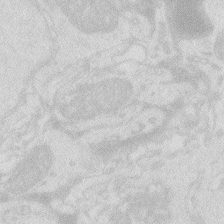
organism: Zebrafish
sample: Macrophage